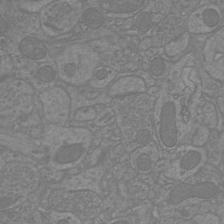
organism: Mouse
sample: Cortical neurons